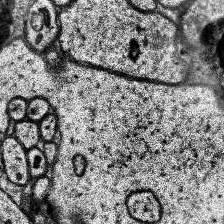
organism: Human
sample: Temporal Lobe